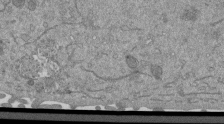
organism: Mouse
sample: ED-1 cell nuclei; centrioles